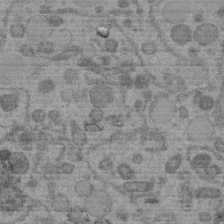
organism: C. elegans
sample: C. elegans embryo early stage